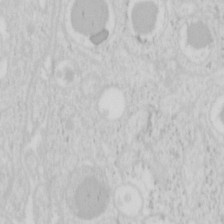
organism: Mouse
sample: Pancreas